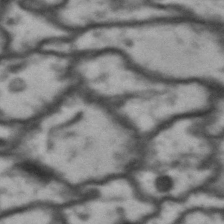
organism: Drosophila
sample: Brain